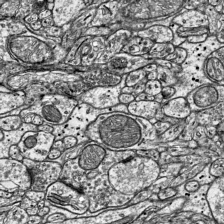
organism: Mouse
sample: Visual Cortex